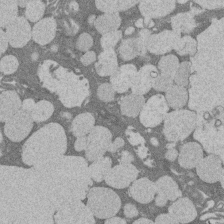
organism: Rat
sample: Salivary granule